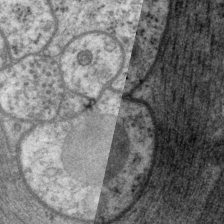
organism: P. pacificus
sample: Pharynx